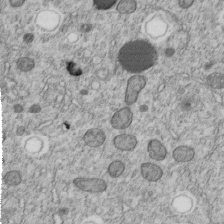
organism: C. elegans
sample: C. elegans embryo early stage